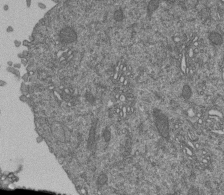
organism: Human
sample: Retinal organoid Rod and Cone cells